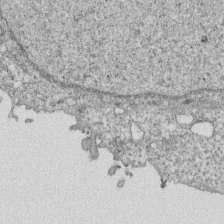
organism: Human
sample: HeLa cell HIV synapse